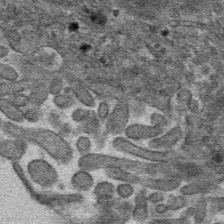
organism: Mouse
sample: Mouse hepatocytes